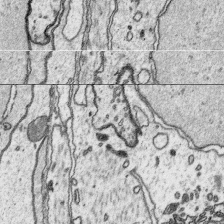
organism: Platynereis dumerilii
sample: Parapodia